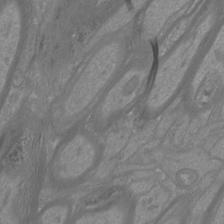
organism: Mouse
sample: Cortical neurons